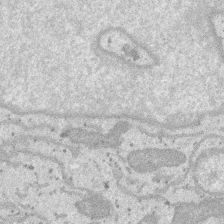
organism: Human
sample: Lung epithelial cells infected with SARS-CoV-2